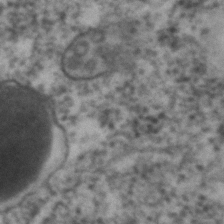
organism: C. elegans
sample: C. elegans embryo